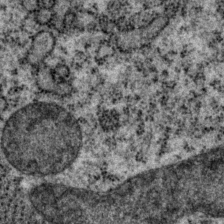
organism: P. pacificus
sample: Pharynx